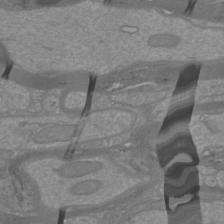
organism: Mouse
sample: Cortical neurons